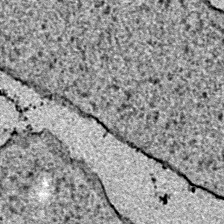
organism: E. coli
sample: E. Coli Bacteria